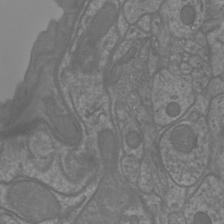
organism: Mouse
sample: Cortical neurons